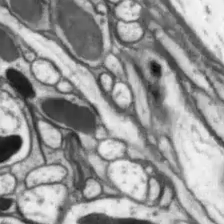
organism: Drosophila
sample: Optic lobe